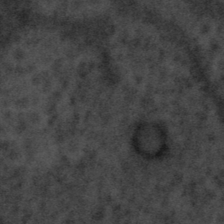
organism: Tuwongella immobilis